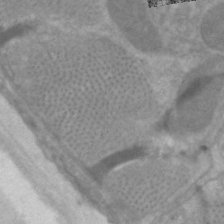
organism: C. elegans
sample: Pharynx